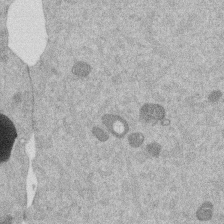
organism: Mouse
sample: Dividing mouse embryo 1 cell stage